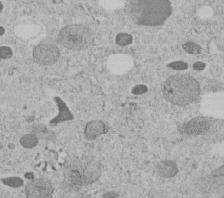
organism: C. elegans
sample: C. elegans embryo early stage